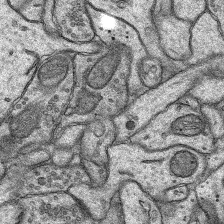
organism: Rat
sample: Hippocampus